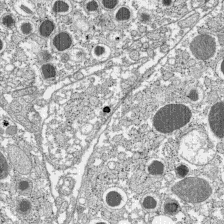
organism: C57BL Mouse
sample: Pancreatic islet